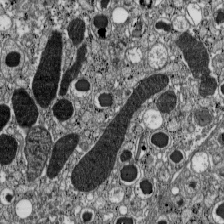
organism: C57BL Mouse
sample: Pancreatic islet